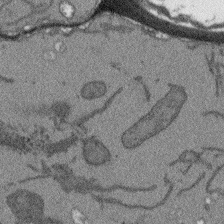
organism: Arabidopsis thaliana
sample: Root tip